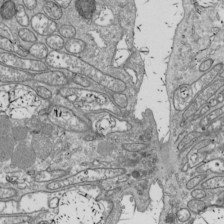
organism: Drosophila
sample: Cell division; meiosis; drosophila spermatocytes